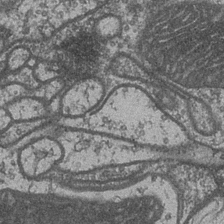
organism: Drosophila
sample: Optic medulla